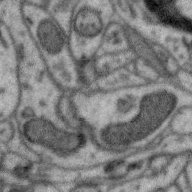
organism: Zebra finch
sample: Brain